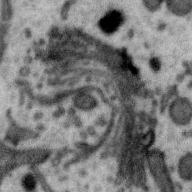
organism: Zebra finch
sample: Brain